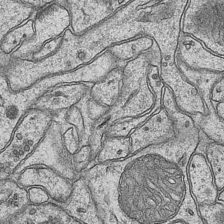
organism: Mouse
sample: CA1 Hippocampus